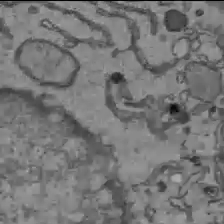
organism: C57BL Mouse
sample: Liver